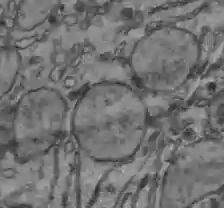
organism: C57BL Mouse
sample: Liver